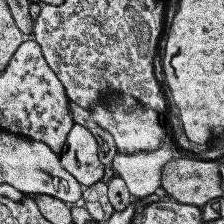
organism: Human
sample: Temporal Lobe